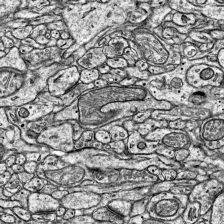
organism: Mouse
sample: Visual Cortex